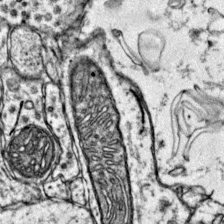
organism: Mouse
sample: Primary visual cortex